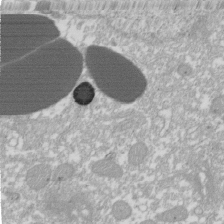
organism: Xenopus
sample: Cilia; centrioles in frog embryo cells